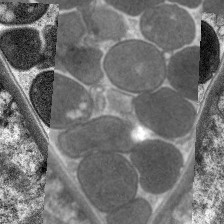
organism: C. elegans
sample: Pharynx